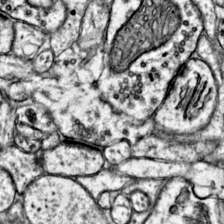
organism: Mouse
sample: Primary visual cortex